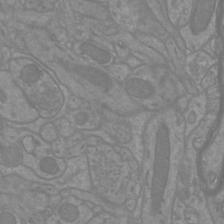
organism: Mouse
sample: Cortical neurons